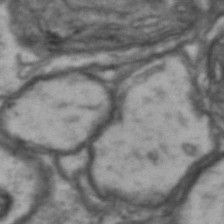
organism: Drosophila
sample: Brain